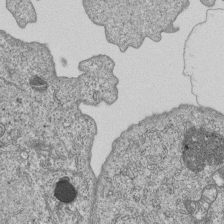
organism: Human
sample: MDA-MB-231 cells